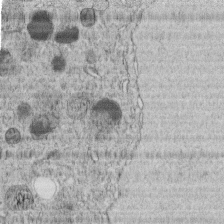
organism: C. elegans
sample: C. elegans embryo early stage